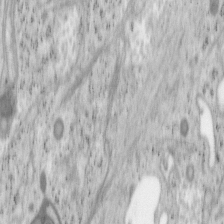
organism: Human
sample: HeLa cells